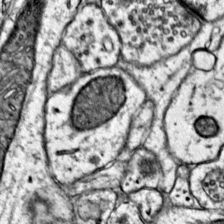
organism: Mouse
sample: Primary visual cortex